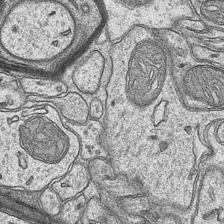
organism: Mouse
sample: CA1 Hippocampus